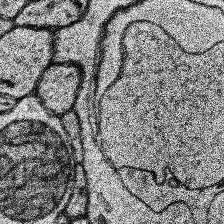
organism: Human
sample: Temporal Lobe